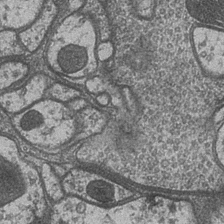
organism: Drosophila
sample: Optic medulla